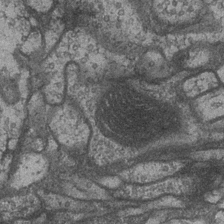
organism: Drosophila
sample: Optic medulla